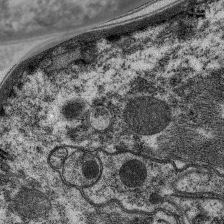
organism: C. elegans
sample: Pharynx